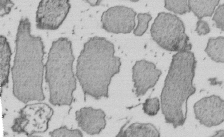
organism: E. coli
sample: Bacterial nucleoid